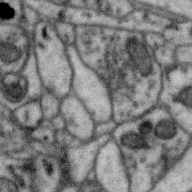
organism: Zebra finch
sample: Brain